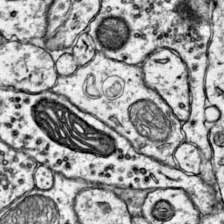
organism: Mouse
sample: Primary visual cortex